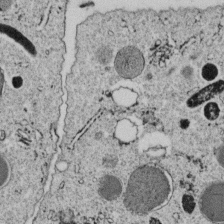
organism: C. elegans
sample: C. elegans embryo early stage